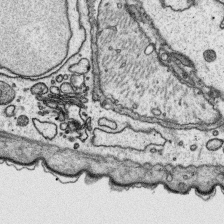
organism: Platynereis dumerilii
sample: Parapodia